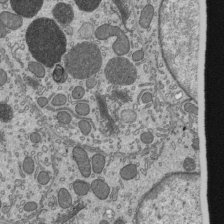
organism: Mouse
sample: Mouse epididymis efferent ductule cilia